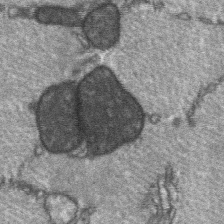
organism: C57BL Mouse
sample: Soleus